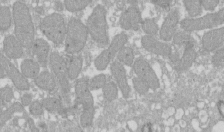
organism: Xenopus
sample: Cilia; centrioles in frog embryo cells